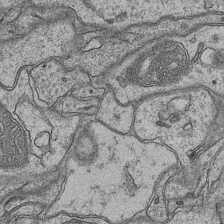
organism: Mouse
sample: CA1 Hippocampus